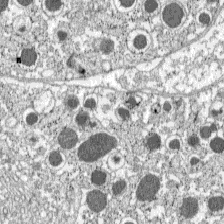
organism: C57BL Mouse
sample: Pancreatic islet